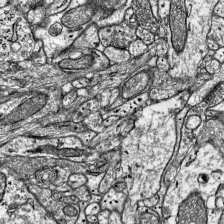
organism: Mouse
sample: Visual Cortex